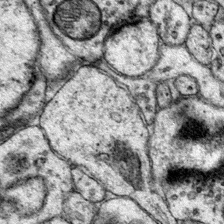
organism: Mouse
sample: Primary visual cortex